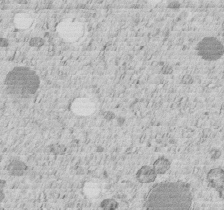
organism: C. elegans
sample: C. elegans embryo early stage